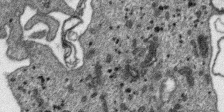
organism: Human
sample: Lung epithelial cells infected with SARS-CoV-2